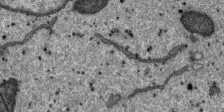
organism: Human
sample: Lung epithelial cells, uninfected (mock) control